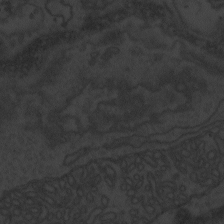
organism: Zebrafish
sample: Macrophage infected with Toxoplasma gondii